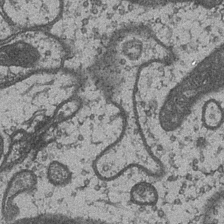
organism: Drosophila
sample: Optic medulla